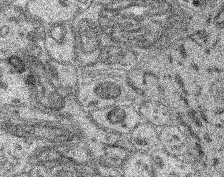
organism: Mouse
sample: Retina